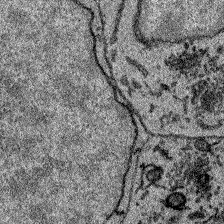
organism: Zebrafish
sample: Larval olfactory bulb